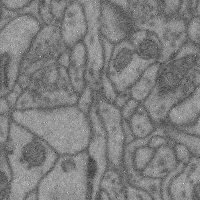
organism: Mouse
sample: Cerebral cortex